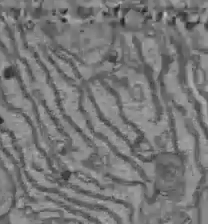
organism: C57BL Mouse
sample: Liver